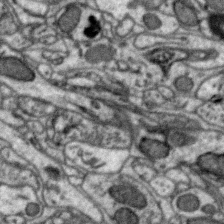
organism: Zebra finch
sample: Brain